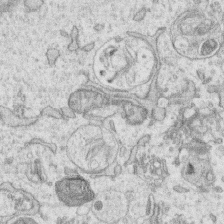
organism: Human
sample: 1205lu cells